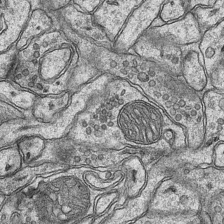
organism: Mouse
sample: CA1 Hippocampus